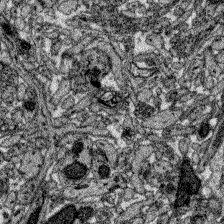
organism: Zebrafish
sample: Larval olfactory bulb